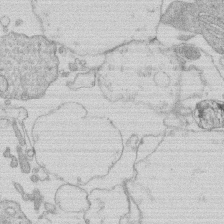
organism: Human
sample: Macrophage cells